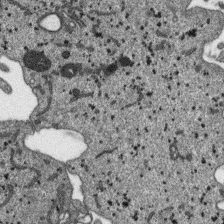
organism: Human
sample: Lung epithelial cells infected with SARS-CoV-2